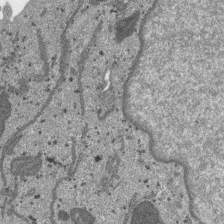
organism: Human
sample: Lung epithelial cells infected with SARS-CoV-2